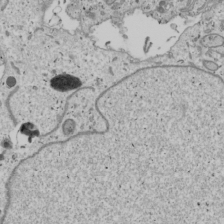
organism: Human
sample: Mitochondria in U2OS cells